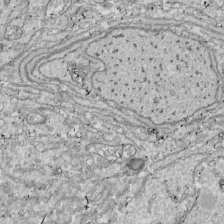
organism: Drosophila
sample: Cell division; meiosis; drosophila spermatocytes